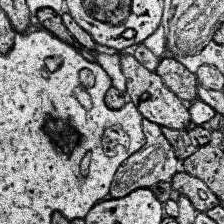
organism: Human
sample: Temporal Lobe